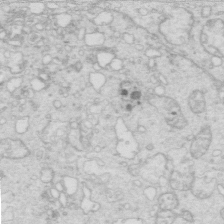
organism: Mouse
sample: Multiciliated cells